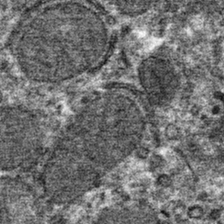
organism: Mouse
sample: Mouse hepatocytes